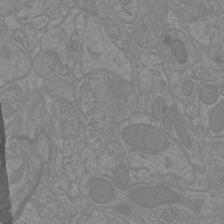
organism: Mouse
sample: Cortical neurons